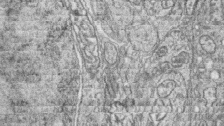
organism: Zebrafish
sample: synaptic ribbons in rod cells and cone cells